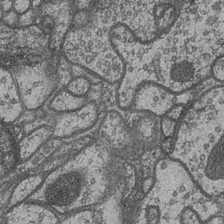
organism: Drosophila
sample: Optic medulla